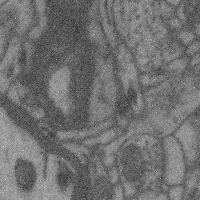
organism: Mouse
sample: Cerebral cortex